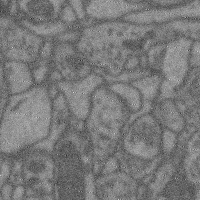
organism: Mouse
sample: Cerebral cortex